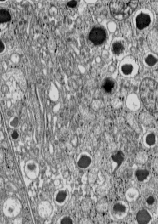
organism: C57BL Mouse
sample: Pancreatic islet